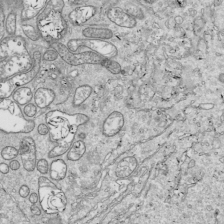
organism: Drosophila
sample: Cell division; meiosis; drosophila spermatocytes